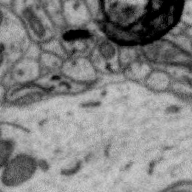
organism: Zebra finch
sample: Brain